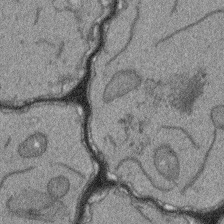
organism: Arabidopsis thaliana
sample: Root tip